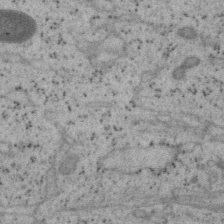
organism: Human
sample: HeLa cells